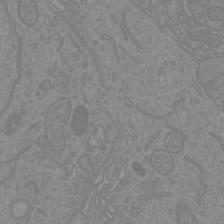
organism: Mouse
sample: Cortical neurons